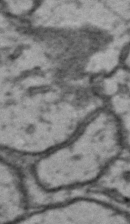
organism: Drosophila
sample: Brain